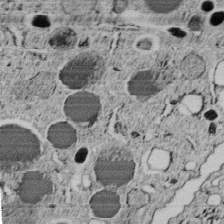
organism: C. elegans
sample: C. elegans embryo early stage